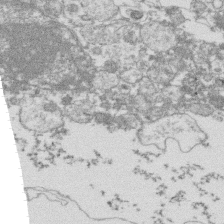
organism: Human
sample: HeLa cell HIV synapse